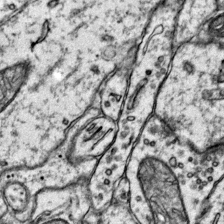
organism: Mouse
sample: Primary visual cortex